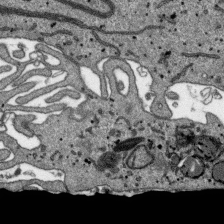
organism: Human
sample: Lung epithelial cells, uninfected (mock) control